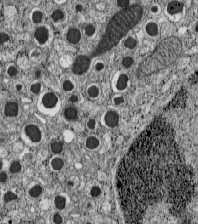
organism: C57BL Mouse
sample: Pancreatic islet